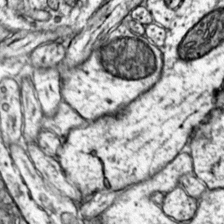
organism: Mouse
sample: Primary visual cortex